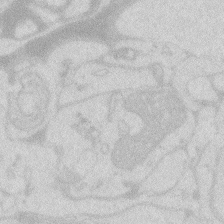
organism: Zebrafish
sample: Macrophage